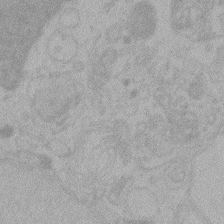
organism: Zebrafish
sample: Macrophage infected with Toxoplasma gondii